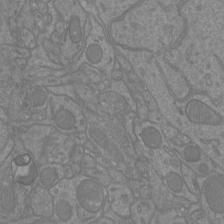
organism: Mouse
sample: Cortical neurons